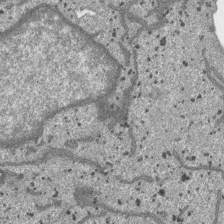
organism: Human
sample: Lung epithelial cells infected with SARS-CoV-2